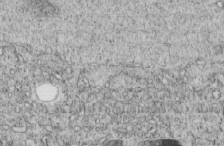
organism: C. elegans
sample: C. elegans embryo early stage